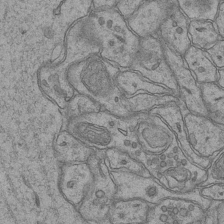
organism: Mouse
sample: CA1 Hippocampus